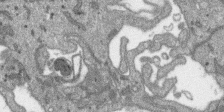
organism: Human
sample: Lung epithelial cells infected with SARS-CoV-2